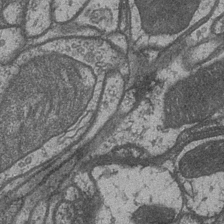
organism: Drosophila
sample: Optic medulla